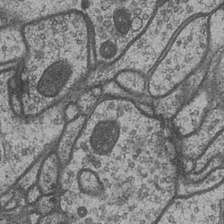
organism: Drosophila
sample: Optic medulla